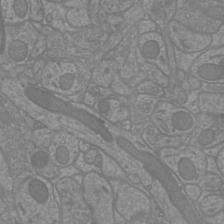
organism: Mouse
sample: Cortical neurons